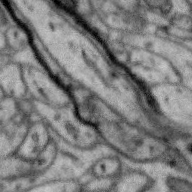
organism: Zebra finch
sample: Brain